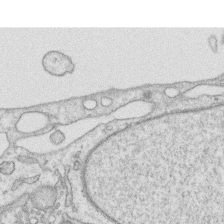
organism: Human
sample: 1205lu cells